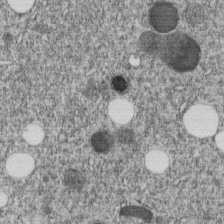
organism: C. elegans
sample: C. elegans embryo early stage